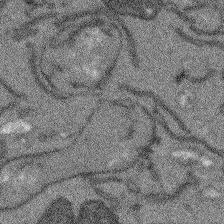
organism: Arabidopsis thaliana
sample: Root tip